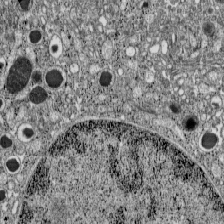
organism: C57BL Mouse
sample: Pancreatic islet